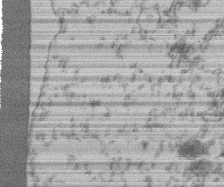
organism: Mouse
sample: T cell stromal cell synapse